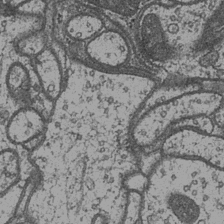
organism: Drosophila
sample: Optic medulla